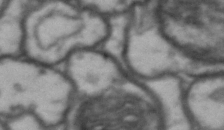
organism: Drosophila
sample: Brain